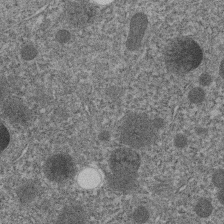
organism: C. elegans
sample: C. elegans embryo early stage